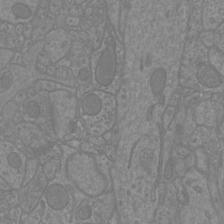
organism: Mouse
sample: Cortical neurons